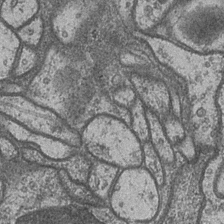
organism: Drosophila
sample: Optic medulla